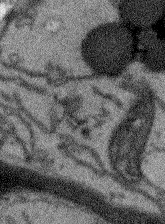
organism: Arabidopsis thaliana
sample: Root tip